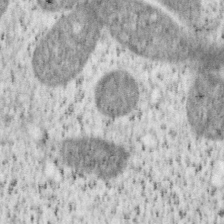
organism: Mouse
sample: OT-I killer T cells with ID8 ovarian cancer cells